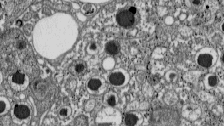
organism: C57BL Mouse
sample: Pancreatic islet